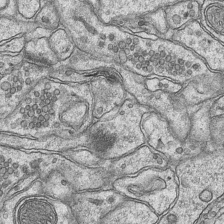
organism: Mouse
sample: CA1 Hippocampus